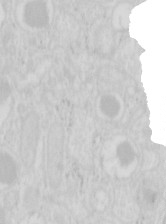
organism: Mouse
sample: Pancreas